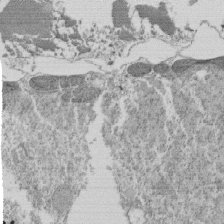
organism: Tetrahymena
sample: Cilia in tetrahymena